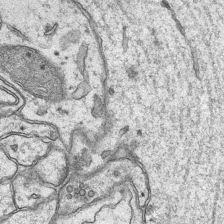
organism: Mouse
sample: CA1 Hippocampus